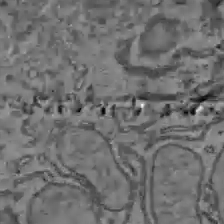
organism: C57BL Mouse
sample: Liver